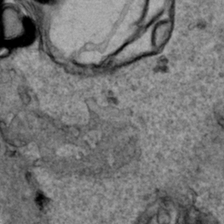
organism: Human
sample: Mitochondria in HCT116 cells